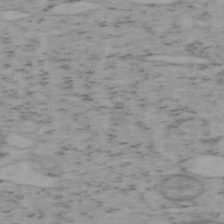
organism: Mouse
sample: OT-I killer T cells with ID8 ovarian cancer cells